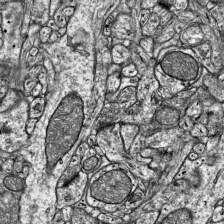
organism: Mouse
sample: Visual Cortex